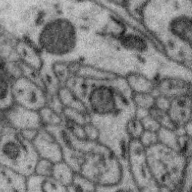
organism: Zebra finch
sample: Brain